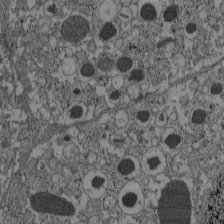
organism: C57BL Mouse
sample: Pancreatic islet